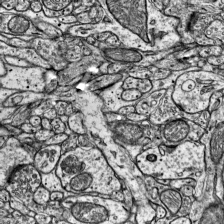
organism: Mouse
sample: Visual Cortex